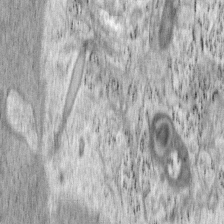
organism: Human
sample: HeLa cells